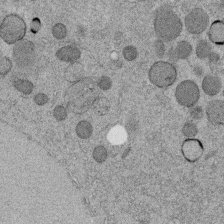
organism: C. elegans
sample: C. elegans embryo early stage